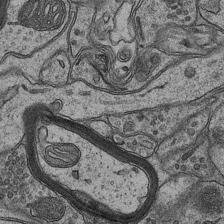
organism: Mouse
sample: CA1 Hippocampus